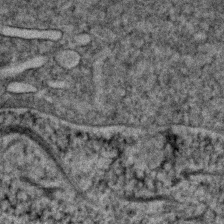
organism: Human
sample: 1205lu cells